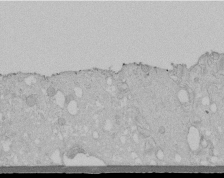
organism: Human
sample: Melanocyte Keratinocyte synapse skin construct